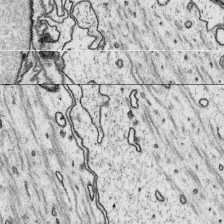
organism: Platynereis dumerilii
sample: Parapodia